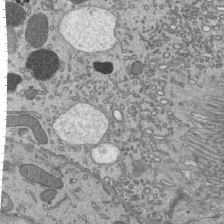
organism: Mouse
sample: Mouse epididymis efferent ductule cilia